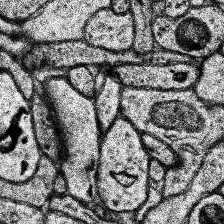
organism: Human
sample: Temporal Lobe